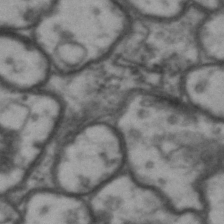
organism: Drosophila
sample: Brain